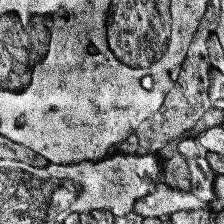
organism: Human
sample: Temporal Lobe